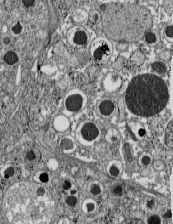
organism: C57BL Mouse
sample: Pancreatic islet